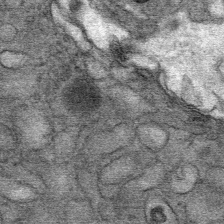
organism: Mouse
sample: Mouse Salivary gland